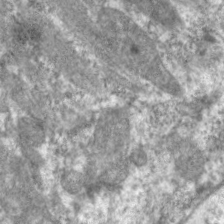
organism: C. elegans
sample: Pharynx